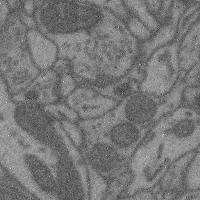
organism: Mouse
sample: Cerebral cortex